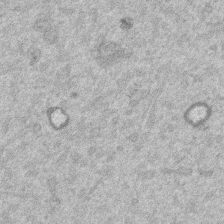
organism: Mouse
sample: Dividing mouse embryo 1 cell stage